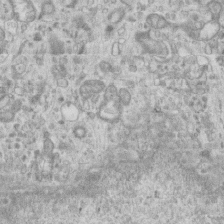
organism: Mouse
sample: Centriole in ependymal cells